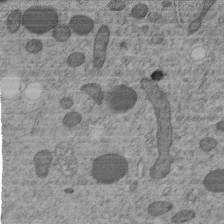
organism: C. elegans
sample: C. elegans embryo early stage